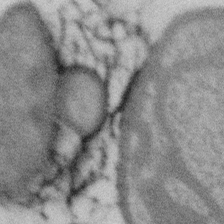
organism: Gemmata obscuriglobus